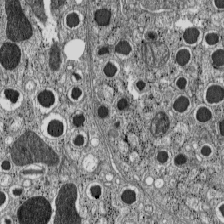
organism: C57BL Mouse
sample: Pancreatic islet